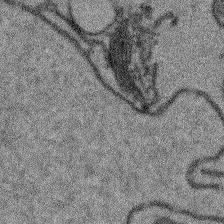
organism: Arabidopsis thaliana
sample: Root tip